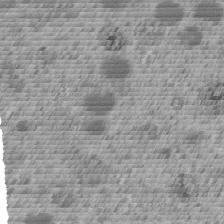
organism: C. elegans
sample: C. elegans embryo early stage